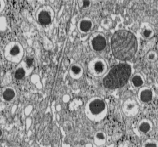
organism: C57BL Mouse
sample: Pancreatic islet